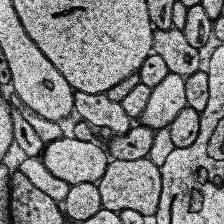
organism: Human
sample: Temporal Lobe